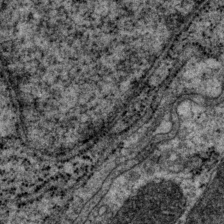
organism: P. pacificus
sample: Pharynx